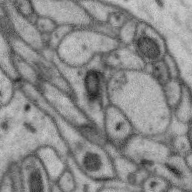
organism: Zebra finch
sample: Brain